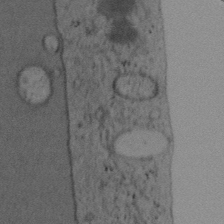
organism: Human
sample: HeLa cells